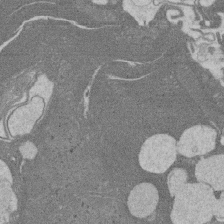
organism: Rat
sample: Salivary granule